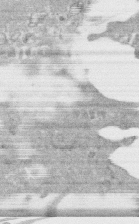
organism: Human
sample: CRL-1474